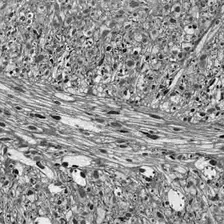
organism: Drosophila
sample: Optic lobe